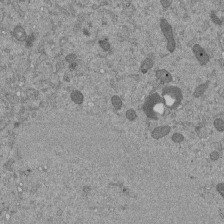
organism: Mouse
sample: ED-1 cell nuclei; centrioles